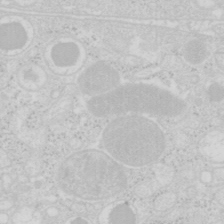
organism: Mouse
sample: Pancreas